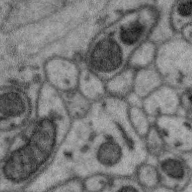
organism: Zebra finch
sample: Brain